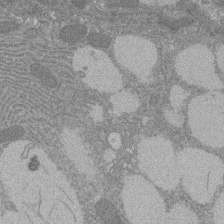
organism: Rat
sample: Salivary granule